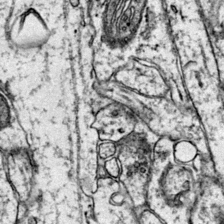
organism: Mouse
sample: Primary visual cortex